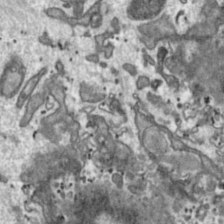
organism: Toxoplasma gondii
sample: Parasites in a vacuole inside a host cell